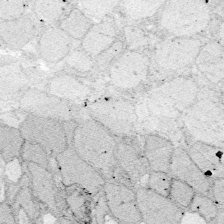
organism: Zebrafish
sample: Whole-Brain